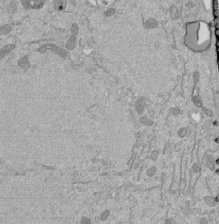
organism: Mouse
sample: ED-1 cell nuclei; centrioles